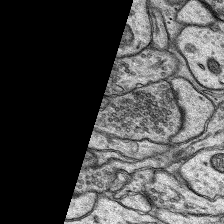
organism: Rat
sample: Hippocampus